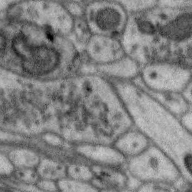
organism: Zebra finch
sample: Brain